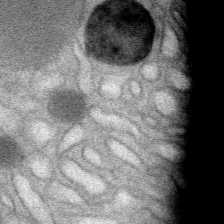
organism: Mouse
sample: Mouse Salivary gland